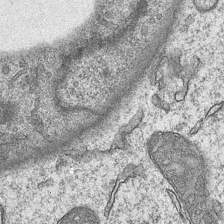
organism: Mouse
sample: CA1 Hippocampus